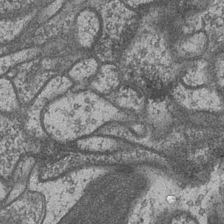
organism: Drosophila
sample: Optic medulla